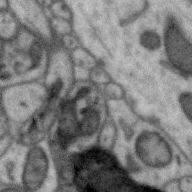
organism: Zebra finch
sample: Brain